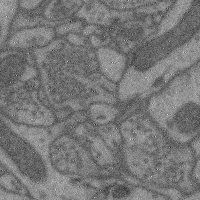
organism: Mouse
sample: Cerebral cortex